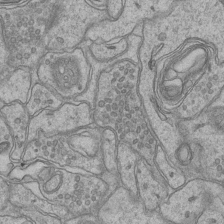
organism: Mouse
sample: CA1 Hippocampus